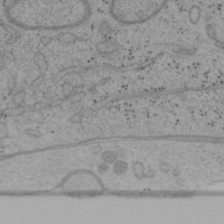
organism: Human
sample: HeLa cells